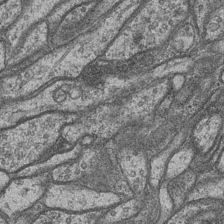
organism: Drosophila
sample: Optic medulla